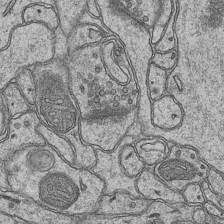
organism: Mouse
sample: CA1 Hippocampus